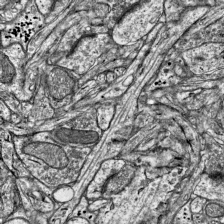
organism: Mouse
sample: Visual Cortex